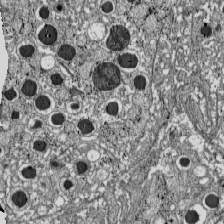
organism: C57BL Mouse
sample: Pancreatic islet